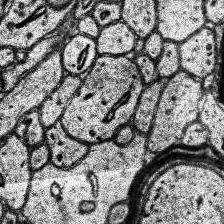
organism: Human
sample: Temporal Lobe